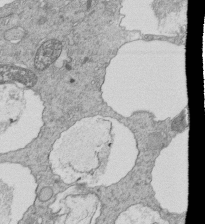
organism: Tetrahymena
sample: Cilia in tetrahymena